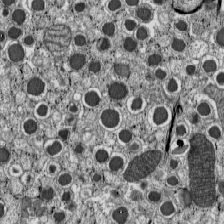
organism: C57BL Mouse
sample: Pancreatic islet